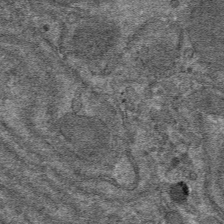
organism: Mouse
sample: Mouse hepatocytes